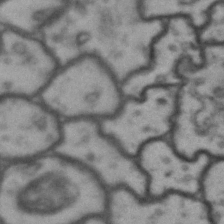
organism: Drosophila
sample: Brain